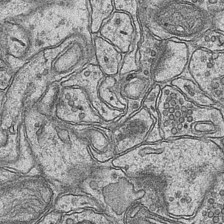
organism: Mouse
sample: CA1 Hippocampus